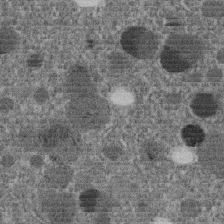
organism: C. elegans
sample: C. elegans embryo early stage